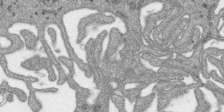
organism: Human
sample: Lung epithelial cells infected with SARS-CoV-2